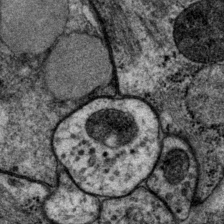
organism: P. pacificus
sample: Pharynx